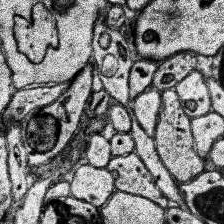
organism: Human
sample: Temporal Lobe